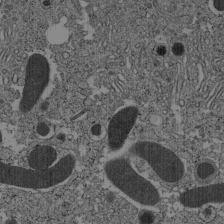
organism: C57BL Mouse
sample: Pancreatic islet